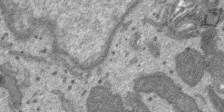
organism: Human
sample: Lung epithelial cells infected with SARS-CoV-2